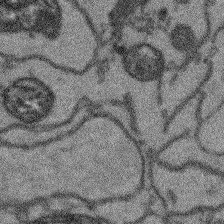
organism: Arabidopsis thaliana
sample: Root tip